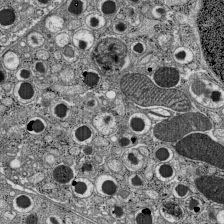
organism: C57BL Mouse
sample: Pancreatic islet